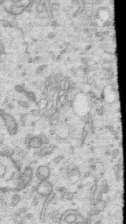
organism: Human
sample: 1205lu cells